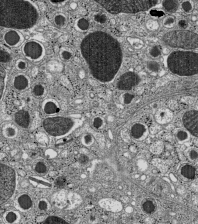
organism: C57BL Mouse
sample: Pancreatic islet